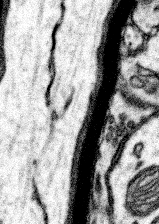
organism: Mouse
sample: Somatosensory cortex neuropil